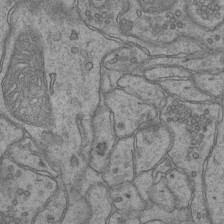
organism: Mouse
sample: CA1 Hippocampus